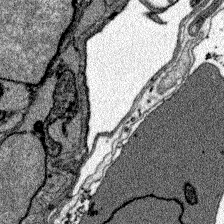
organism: Zebrafish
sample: Larval olfactory bulb